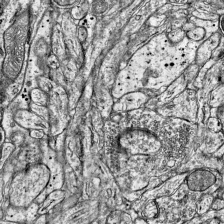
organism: Mouse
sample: Visual Cortex